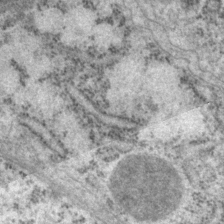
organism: P. pacificus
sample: Pharynx